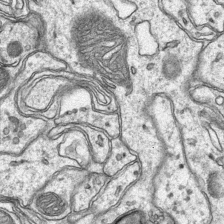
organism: Mouse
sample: CA1 Hippocampus